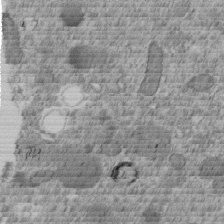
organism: C. elegans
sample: C. elegans embryo early stage